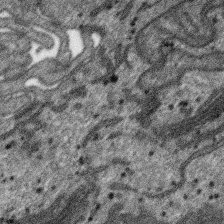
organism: Human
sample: Lung epithelial cells infected with SARS-CoV-2